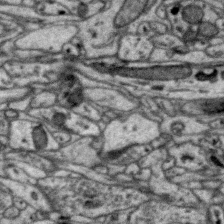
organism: Zebra finch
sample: Brain